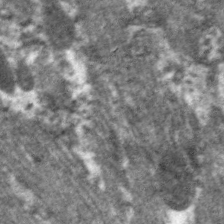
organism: C. elegans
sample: Pharynx